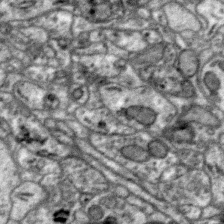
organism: Zebra finch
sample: Brain